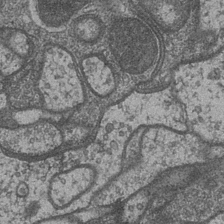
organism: Drosophila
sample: Optic medulla